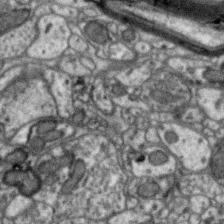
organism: Zebra finch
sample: Brain